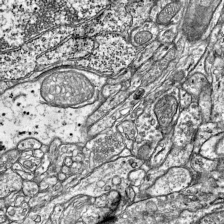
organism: Mouse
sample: Visual Cortex